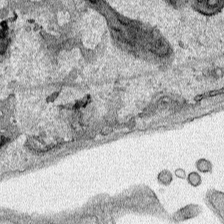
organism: Human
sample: Mitochondria in HCT116 cells